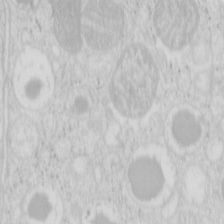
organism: Mouse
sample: Pancreas